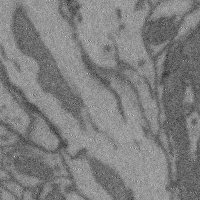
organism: Mouse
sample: Cerebral cortex